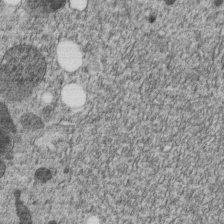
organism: C. elegans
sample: C. elegans embryo early stage